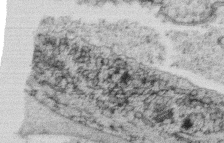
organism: C. elegans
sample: C. elegans oocyte; sperm cells